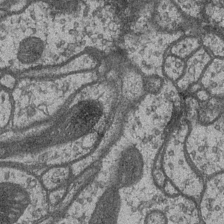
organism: Drosophila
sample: Optic medulla